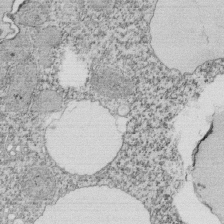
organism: Tetrahymena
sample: Cilia in tetrahymena